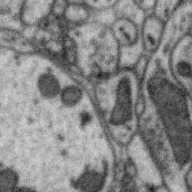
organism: Zebra finch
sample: Brain